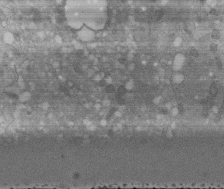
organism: Human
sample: Melanocyte Keratinocyte synapse skin construct